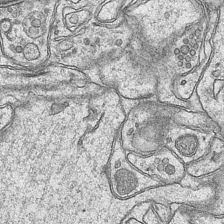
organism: Mouse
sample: CA1 Hippocampus